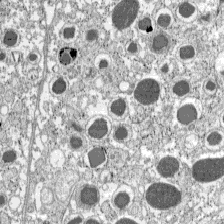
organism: C57BL Mouse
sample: Pancreatic islet